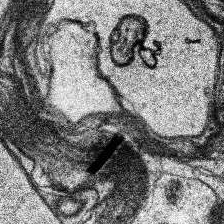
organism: Human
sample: Temporal Lobe